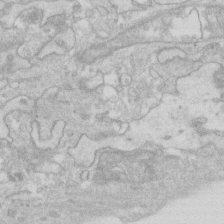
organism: Human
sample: Fibroblast cells